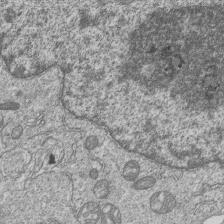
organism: Human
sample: MDA-MB-231 cells